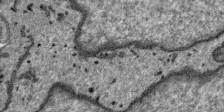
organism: Human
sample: Lung epithelial cells, uninfected (mock) control